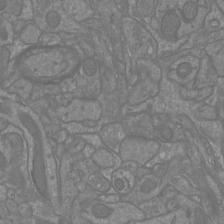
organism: Mouse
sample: Cortical neurons